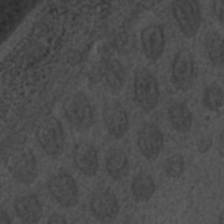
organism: C. elegans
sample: C. elegans embryo